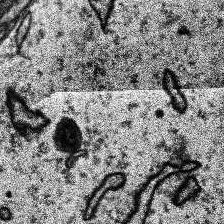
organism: Human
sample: Temporal Lobe